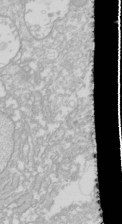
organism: Drosophila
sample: Cell division; meiosis; drosophila spermatocytes